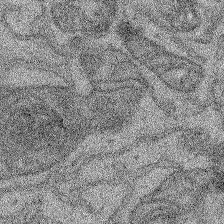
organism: Human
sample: HeLa cells